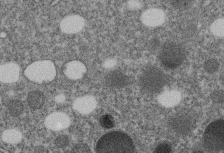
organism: C. elegans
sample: C. elegans embryo early stage